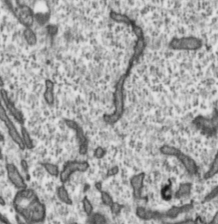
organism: Toxoplasma gondii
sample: Parasites in a vacuole inside a host cell